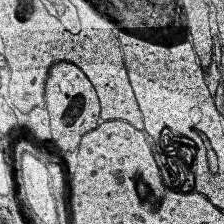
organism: Human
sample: Temporal Lobe